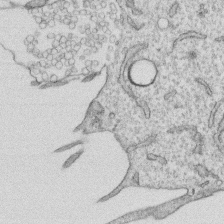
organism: Human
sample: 1205lu cells